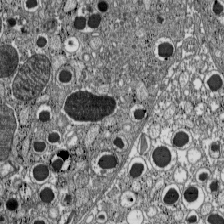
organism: C57BL Mouse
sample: Pancreatic islet